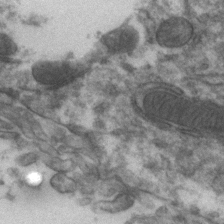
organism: Zebrafish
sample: Zebrafish embryo